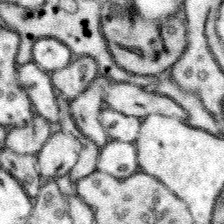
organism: Mouse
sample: Somatosensory cortex neuropil